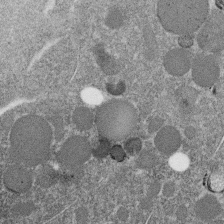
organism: C. elegans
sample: C. elegans embryo early stage